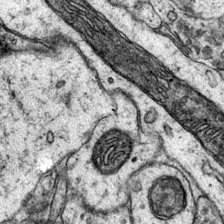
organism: Mouse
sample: Primary visual cortex